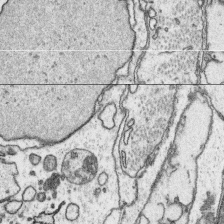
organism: Platynereis dumerilii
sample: Parapodia